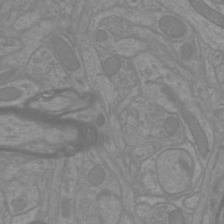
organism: Mouse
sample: Cortical neurons